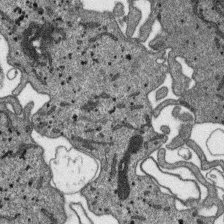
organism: Human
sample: Lung epithelial cells infected with SARS-CoV-2